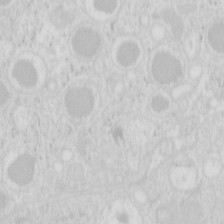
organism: Mouse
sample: Pancreas